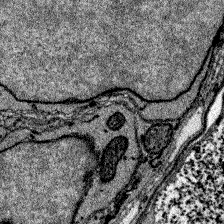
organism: Zebrafish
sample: Larval olfactory bulb